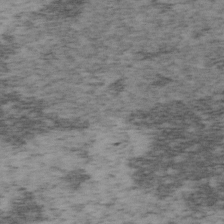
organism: Mouse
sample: OT-I killer T cells with ID8 ovarian cancer cells